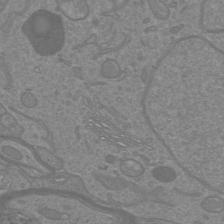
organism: Mouse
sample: Cortical neurons